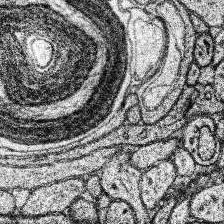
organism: Human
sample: Temporal Lobe